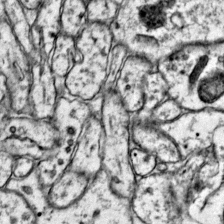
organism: Mouse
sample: Primary visual cortex